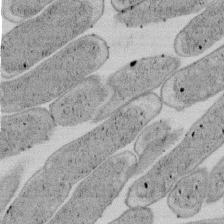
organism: E. coli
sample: Bacterial nucleoid